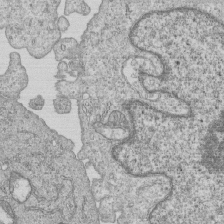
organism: Human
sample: MDA-MB-231 cells